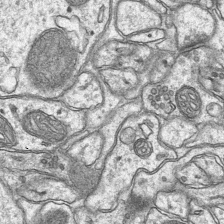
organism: Mouse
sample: CA1 Hippocampus